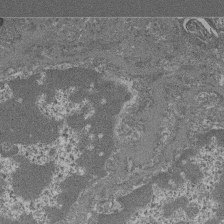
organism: Mouse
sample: Glomerulus